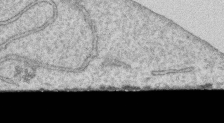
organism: Human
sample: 1205lu cells